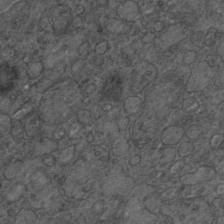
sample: Trachea